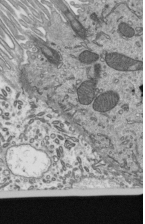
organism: Mouse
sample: Mouse epididymis efferent ductule cilia